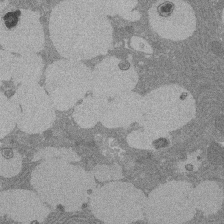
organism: Rat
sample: Salivary granule